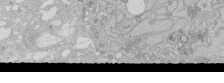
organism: Human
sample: Caco-2 cells